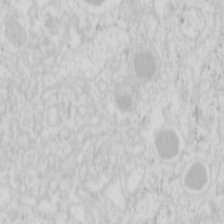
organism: Mouse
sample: Pancreas